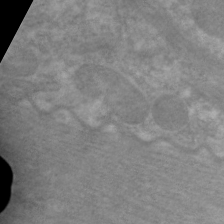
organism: C. elegans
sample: Pharynx